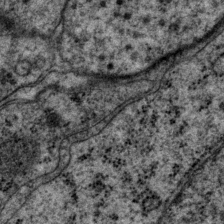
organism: P. pacificus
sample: Pharynx